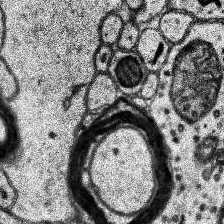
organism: Human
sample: Temporal Lobe